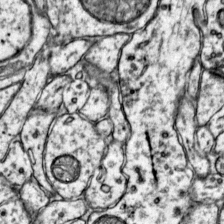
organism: Mouse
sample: Primary visual cortex